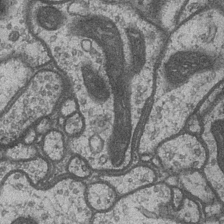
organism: Drosophila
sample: Optic medulla